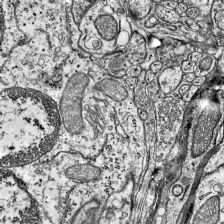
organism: Mouse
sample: Visual Cortex